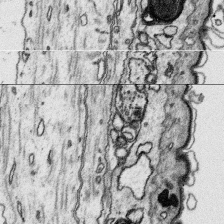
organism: Platynereis dumerilii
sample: Parapodia